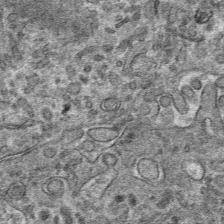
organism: Mouse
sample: Mouse hepatocytes